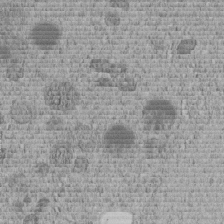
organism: C. elegans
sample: C. elegans embryo early stage